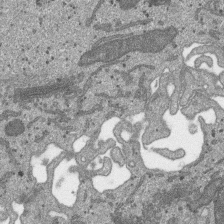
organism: Human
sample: Lung epithelial cells infected with SARS-CoV-2